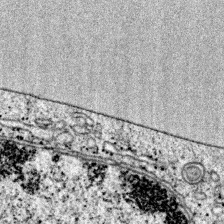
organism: Human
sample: HeLa cells